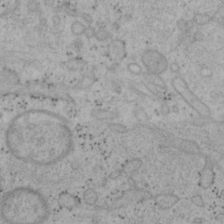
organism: Human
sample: HeLa cells